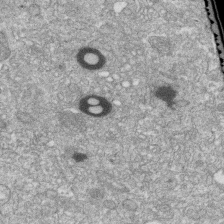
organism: Human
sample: HeLa cell HIV synapse